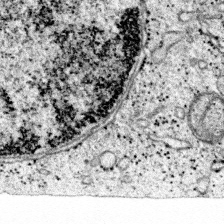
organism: Human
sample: HeLa cells